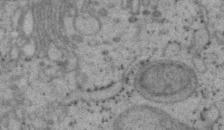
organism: Human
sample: HeLa cells